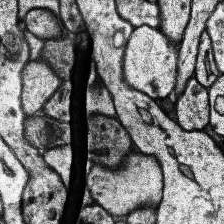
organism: Human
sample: Temporal Lobe